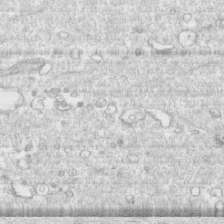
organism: Human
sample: CRL-1474